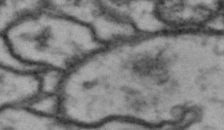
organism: Drosophila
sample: Brain